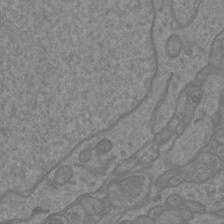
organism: Mouse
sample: Cortical neurons